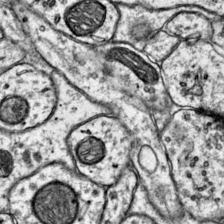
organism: Mouse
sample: Primary visual cortex